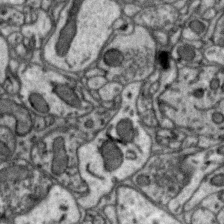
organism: Zebra finch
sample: Brain